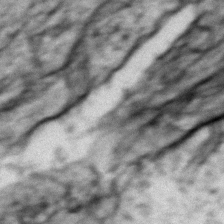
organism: Zebrafish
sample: Zebrafish embryo